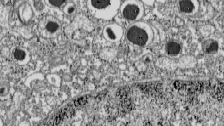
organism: C57BL Mouse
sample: Pancreatic islet